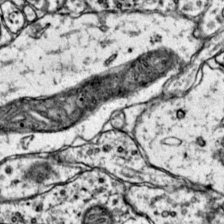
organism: Mouse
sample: Primary visual cortex